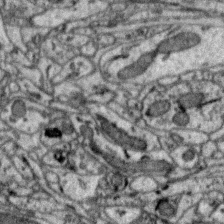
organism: Zebra finch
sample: Brain